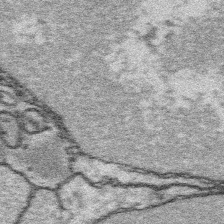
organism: Platynereis dumerilii